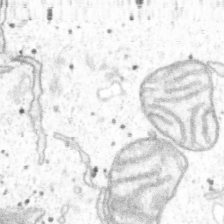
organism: Human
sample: HeLa cells